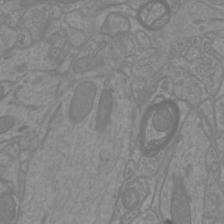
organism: Mouse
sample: Cortical neurons